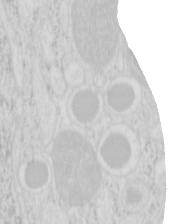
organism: Mouse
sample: Pancreas